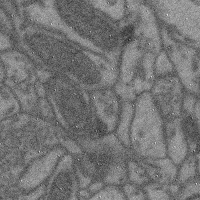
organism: Mouse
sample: Cerebral cortex